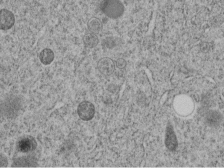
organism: C. elegans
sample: C. elegans embryo early stage